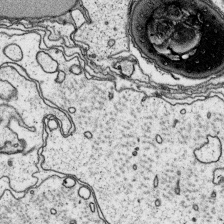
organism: Platynereis dumerilii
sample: Parapodia